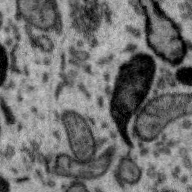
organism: Zebra finch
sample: Brain